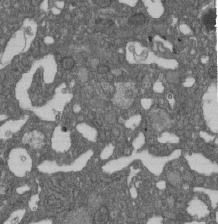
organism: Drosophila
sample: Nephrocyte